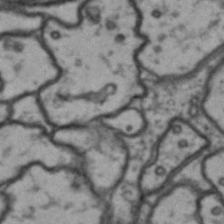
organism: Drosophila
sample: Brain